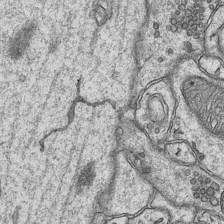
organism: Mouse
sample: CA1 Hippocampus